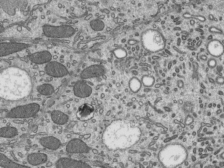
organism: Mouse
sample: Mouse epididymis efferent ductule cilia